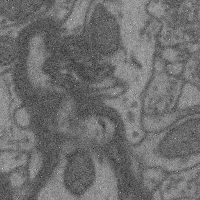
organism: Mouse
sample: Cerebral cortex